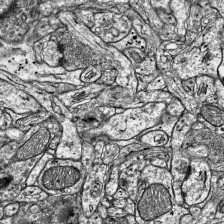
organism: Mouse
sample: Visual Cortex